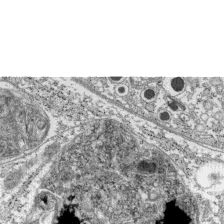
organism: C57BL Mouse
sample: Pancreatic islet